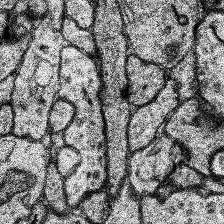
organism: Human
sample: Temporal Lobe